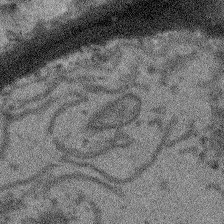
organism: Arabidopsis thaliana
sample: Root tip